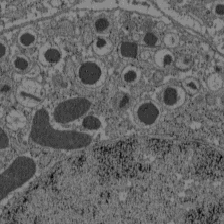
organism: C57BL Mouse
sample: Pancreatic islet